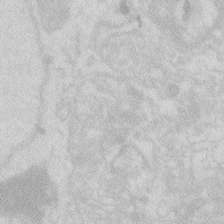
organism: Zebrafish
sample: Macrophage